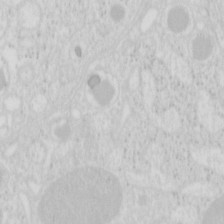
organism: Mouse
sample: Pancreas